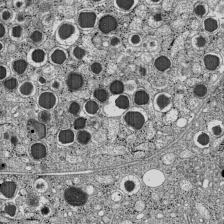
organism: C57BL Mouse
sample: Pancreatic islet